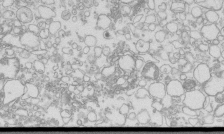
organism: Mouse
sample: Macrophages